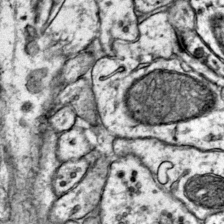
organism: Mouse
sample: Primary visual cortex